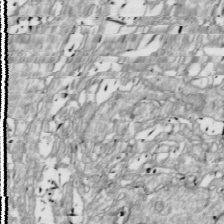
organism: Drosophila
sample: Cell division; meiosis; drosophila spermatocytes